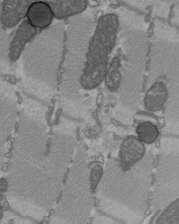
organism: C57BL Mouse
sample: Heart